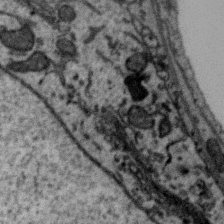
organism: Zebra finch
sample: Brain